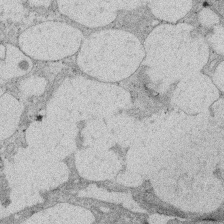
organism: Rat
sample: Salivary granule